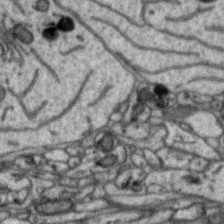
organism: Zebra finch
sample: Brain